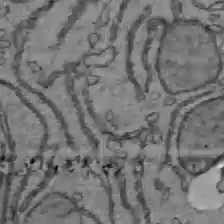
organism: C57BL Mouse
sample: Liver